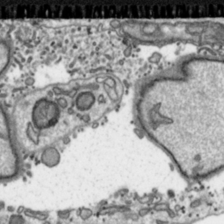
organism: Toxoplasma gondii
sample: Parasites in a vacuole inside a host cell